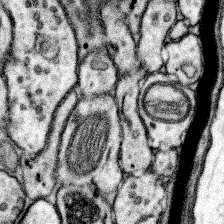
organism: Mouse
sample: Somatosensory cortex neuropil